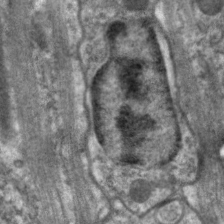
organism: C. elegans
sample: Pharynx